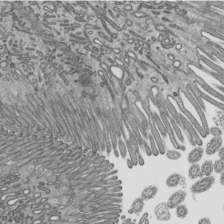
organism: Mouse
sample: Mouse epididymis efferent ductule cilia